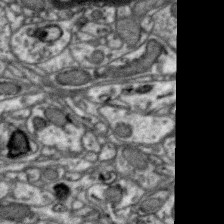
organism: Zebra finch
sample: Brain